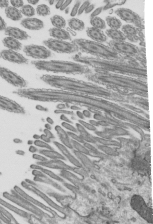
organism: Mouse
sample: Mouse epididymis efferent ductule cilia